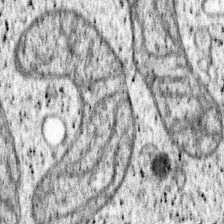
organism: Human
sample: HeLa cells